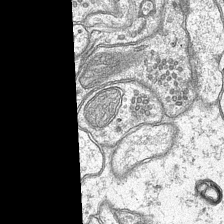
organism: Mouse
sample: CA1 Hippocampus